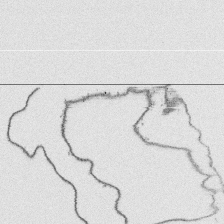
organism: Platynereis dumerilii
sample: Parapodia